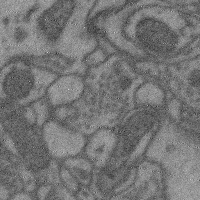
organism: Mouse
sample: Cerebral cortex